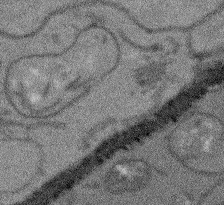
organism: Arabidopsis thaliana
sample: Root tip